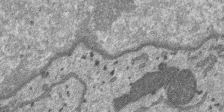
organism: Human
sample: Lung epithelial cells infected with SARS-CoV-2